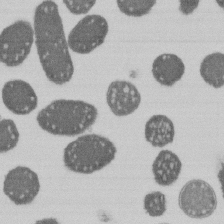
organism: E. coli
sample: Bacterial nucleoid